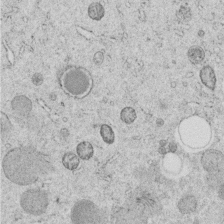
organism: C. elegans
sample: C. elegans embryo early stage